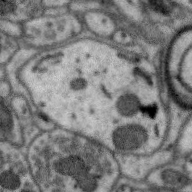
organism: Zebra finch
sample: Brain